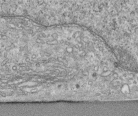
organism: Human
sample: Centriole in RPE cells